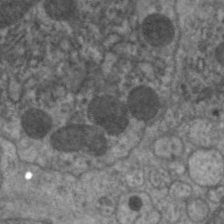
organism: C. elegans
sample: Pharynx